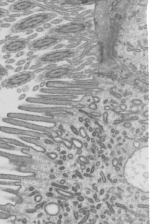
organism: Mouse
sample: Mouse epididymis efferent ductule cilia